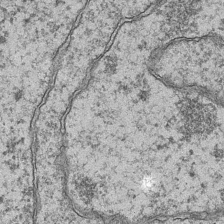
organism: Mouse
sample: CA1 Hippocampus